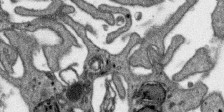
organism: Human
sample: Lung epithelial cells, uninfected (mock) control